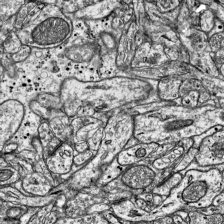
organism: Mouse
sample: Visual Cortex